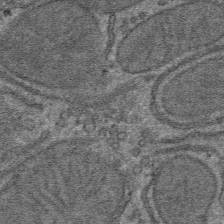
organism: Mouse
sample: Mouse hepatocytes